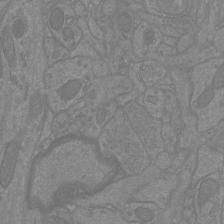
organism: Mouse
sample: Cortical neurons